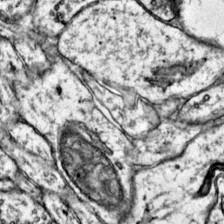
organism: Mouse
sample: Primary visual cortex